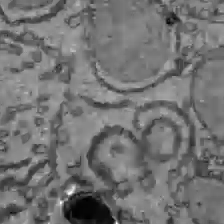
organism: C57BL Mouse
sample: Liver